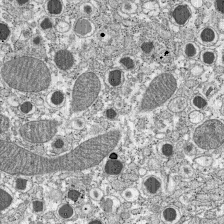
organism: C57BL Mouse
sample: Pancreatic islet